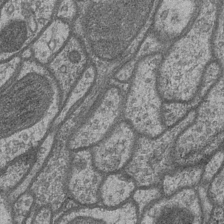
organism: Drosophila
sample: Optic medulla